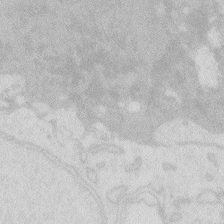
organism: Zebrafish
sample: Macrophage